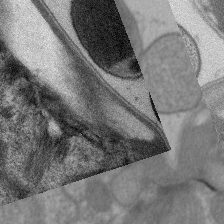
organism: C. elegans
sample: Pharynx